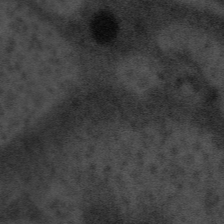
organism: Tuwongella immobilis